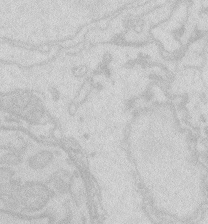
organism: Zebrafish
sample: Macrophage